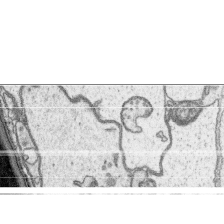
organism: Platynereis dumerilii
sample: Parapodia